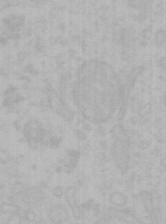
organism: Mouse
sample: Choroid plexus